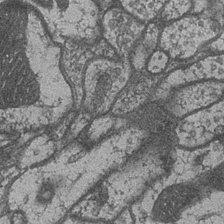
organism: Drosophila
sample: Optic medulla